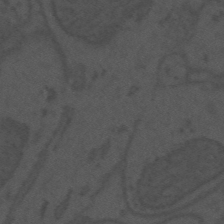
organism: Mouse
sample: Suprachiasmatic nucleus